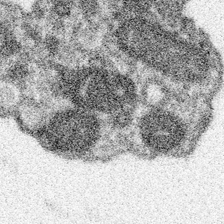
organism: Spongilla lacustris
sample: Neuroid cell